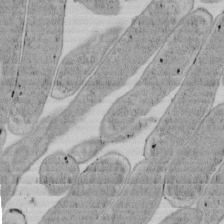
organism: E. coli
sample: Bacterial nucleoid